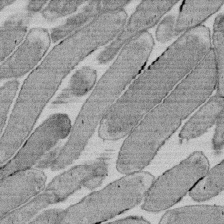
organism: E. coli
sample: Bacterial nucleoid